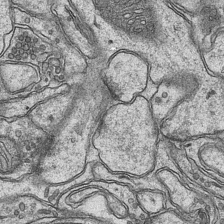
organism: Mouse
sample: CA1 Hippocampus